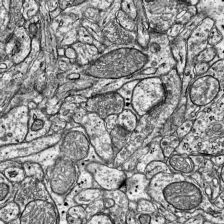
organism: Mouse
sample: Visual Cortex